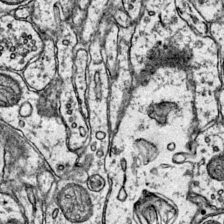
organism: Mouse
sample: Primary visual cortex